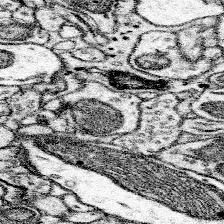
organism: Mouse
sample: Somatosensory cortex neuropil